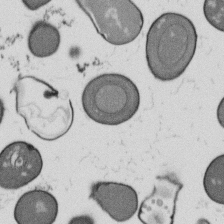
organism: B. subtilis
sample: Bacterial spore